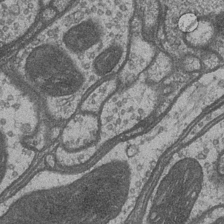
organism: Drosophila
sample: Optic medulla